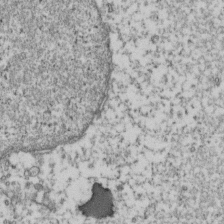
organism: Human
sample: Activated Jurkat CD4+ T cells